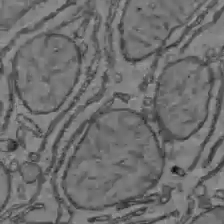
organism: C57BL Mouse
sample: Liver